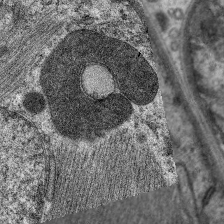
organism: C. elegans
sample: Pharynx